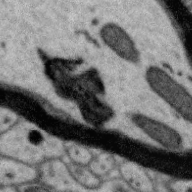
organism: Zebra finch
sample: Brain